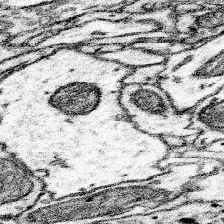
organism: Mouse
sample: Somatosensory cortex neuropil